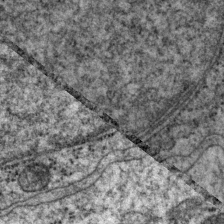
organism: P. pacificus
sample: Pharynx